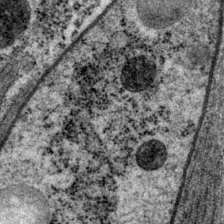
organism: P. pacificus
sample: Pharynx